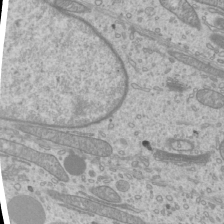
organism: Mouse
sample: Cilia; mouse epididymis